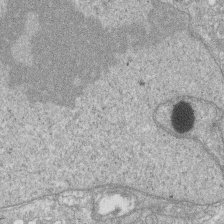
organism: Human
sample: HeLa cell HIV synapse